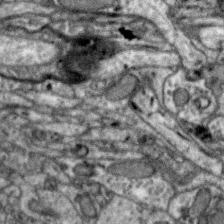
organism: Zebra finch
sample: Brain